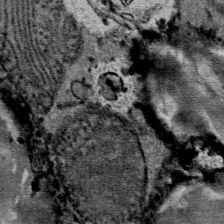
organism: Mouse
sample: Mouse Salivary gland